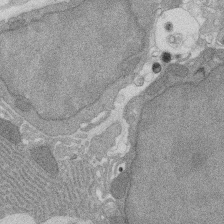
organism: Rat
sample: Salivary granule